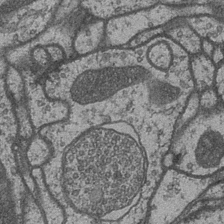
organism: Drosophila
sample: Optic medulla